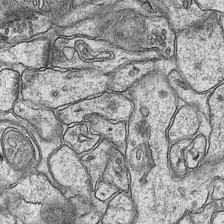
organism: Mouse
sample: CA1 Hippocampus